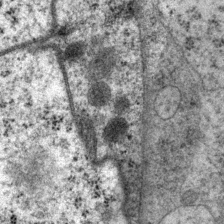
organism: P. pacificus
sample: Pharynx